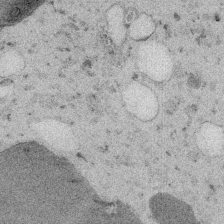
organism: Embia sp.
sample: Silk gland